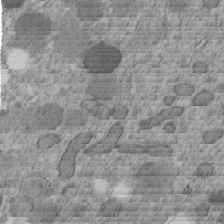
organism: C. elegans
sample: C. elegans embryo early stage